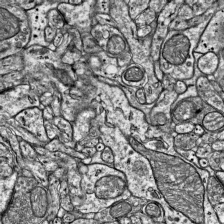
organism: Mouse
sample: Visual Cortex